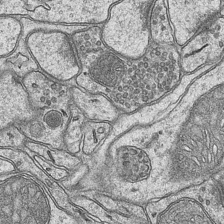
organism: Mouse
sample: CA1 Hippocampus